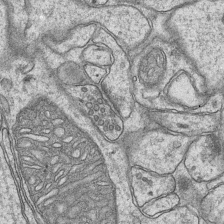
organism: Mouse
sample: CA1 Hippocampus